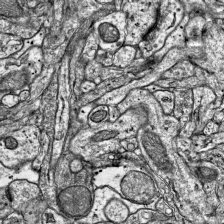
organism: Mouse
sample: Visual Cortex